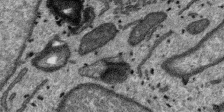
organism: Human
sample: Lung epithelial cells, uninfected (mock) control